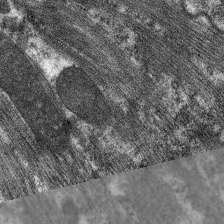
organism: C. elegans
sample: Pharynx